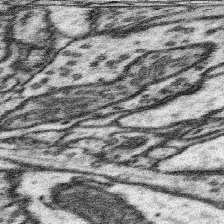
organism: Mouse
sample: Somatosensory cortex neuropil